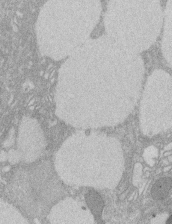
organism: Rat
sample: Salivary granule